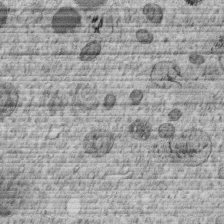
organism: C. elegans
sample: C. elegans embryo early stage